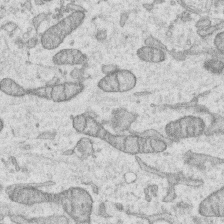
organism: Human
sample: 1205lu cells